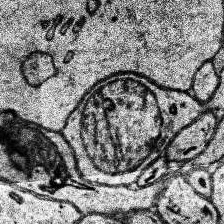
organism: Human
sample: Temporal Lobe